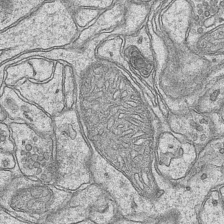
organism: Mouse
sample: CA1 Hippocampus